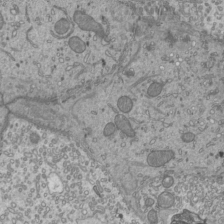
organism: Mouse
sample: Cilia; mouse epididymis